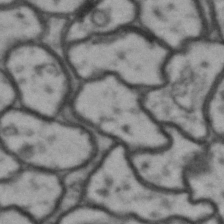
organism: Drosophila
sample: Brain